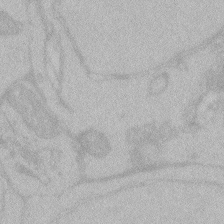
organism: Zebrafish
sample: Macrophage infected with Toxoplasma gondii